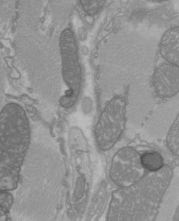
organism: C57BL Mouse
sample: Heart